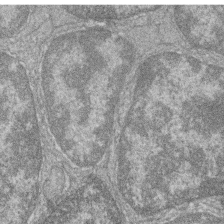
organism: Zebrafish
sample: Cilia; retinal pigment epithelium